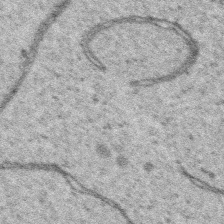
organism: Platynereis dumerilii